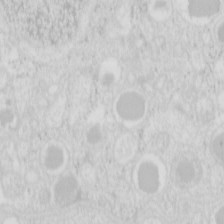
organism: Mouse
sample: Pancreas